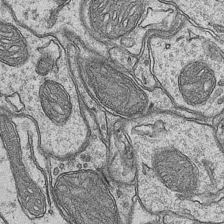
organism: Mouse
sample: CA1 Hippocampus